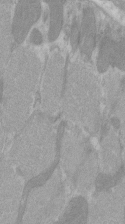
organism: C57BL Mouse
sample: Tibialis anterior muscle cell